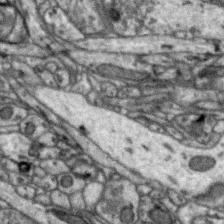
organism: Zebra finch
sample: Brain